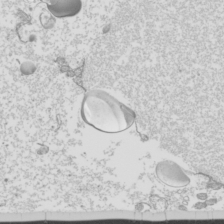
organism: Mouse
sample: Cilia; mouse epididymis